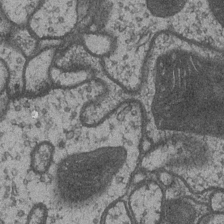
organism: Drosophila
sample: Optic medulla